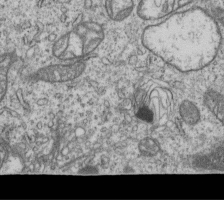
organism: Human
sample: MDA-MB-231 cells